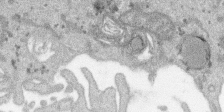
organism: Human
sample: Lung epithelial cells infected with SARS-CoV-2